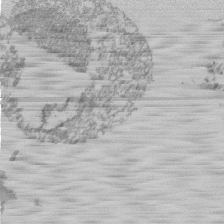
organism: Mouse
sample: Activated Pmel transgenic CD8+ T Cells